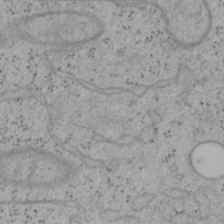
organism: Human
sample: HeLa cells